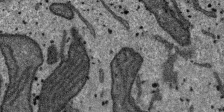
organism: Human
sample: Lung epithelial cells, uninfected (mock) control